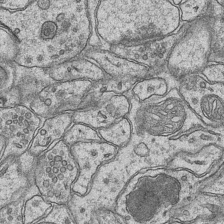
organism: Mouse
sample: CA1 Hippocampus